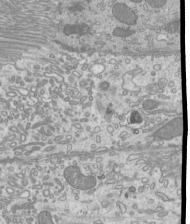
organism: Mouse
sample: Cilia; mouse epididymis